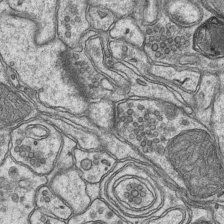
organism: Mouse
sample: CA1 Hippocampus